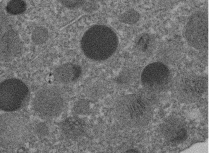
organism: C. elegans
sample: C. elegans embryo early stage